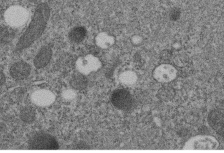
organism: C. elegans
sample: C. elegans embryo early stage